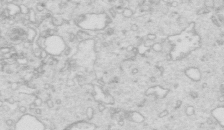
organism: Mouse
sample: Multiciliated cells